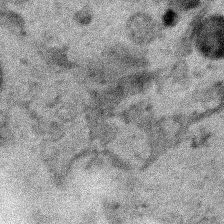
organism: Human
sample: Mitochondria in HCT116 cells